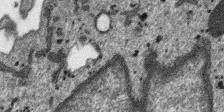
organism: Human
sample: Lung epithelial cells infected with SARS-CoV-2